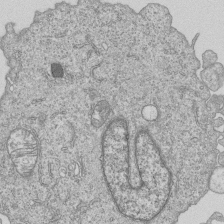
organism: Human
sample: MDA-MB-231 cells